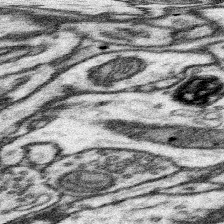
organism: Mouse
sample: Somatosensory cortex neuropil